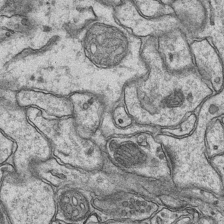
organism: Mouse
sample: CA1 Hippocampus